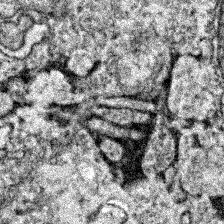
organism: Zebrafish